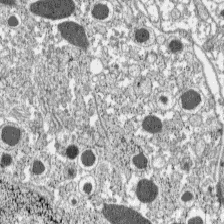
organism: C57BL Mouse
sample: Pancreatic islet